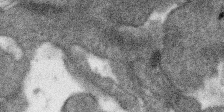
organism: Human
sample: Lung epithelial cells infected with SARS-CoV-2